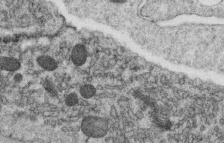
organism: C. elegans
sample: C. elegans oocyte; sperm cells